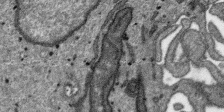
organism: Human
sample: Lung epithelial cells, uninfected (mock) control